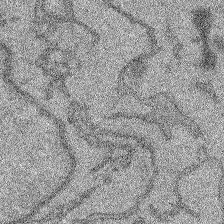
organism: Human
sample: HeLa cells